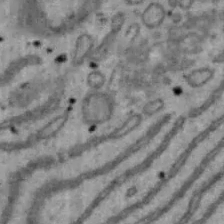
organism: Mouse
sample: Liver